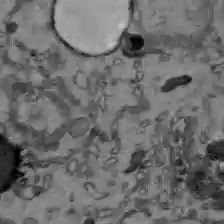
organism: C57BL Mouse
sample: Liver